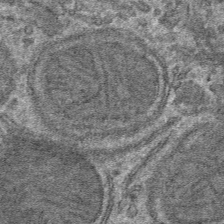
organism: Mouse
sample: Mouse hepatocytes